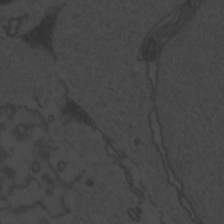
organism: Zebrafish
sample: Macrophage infected with Toxoplasma gondii